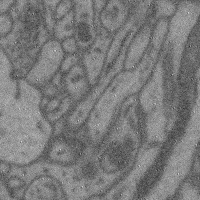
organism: Mouse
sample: Cerebral cortex